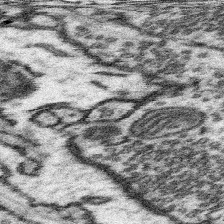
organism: Mouse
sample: Somatosensory cortex neuropil